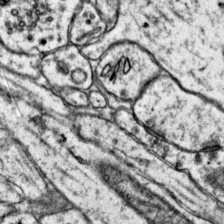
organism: Mouse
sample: Primary visual cortex